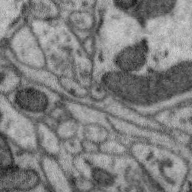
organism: Zebra finch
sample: Brain